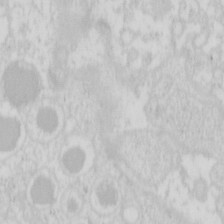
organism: Mouse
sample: Pancreas